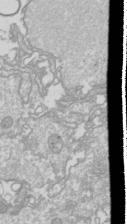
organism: Drosophila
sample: Cell division; meiosis; drosophila spermatocytes